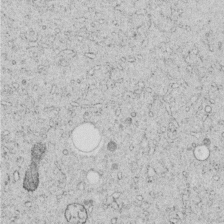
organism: C. elegans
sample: C. elegans embryo early stage